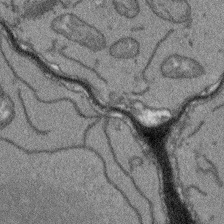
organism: Arabidopsis thaliana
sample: Root tip